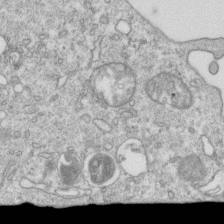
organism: Mouse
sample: Activated OT-1 CD8+ T cells